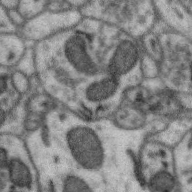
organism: Zebra finch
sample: Brain